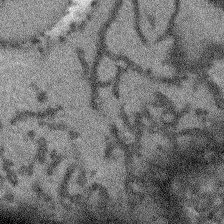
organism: Arabidopsis thaliana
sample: Root tip